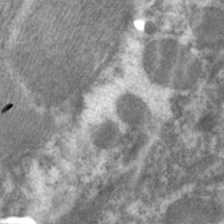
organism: C. elegans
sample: Pharynx